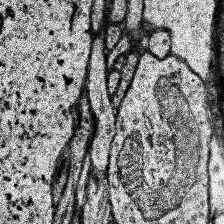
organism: Human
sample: Temporal Lobe